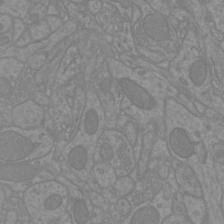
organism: Mouse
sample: Cortical neurons